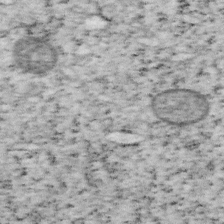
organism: Mouse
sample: OT-I killer T cells with ID8 ovarian cancer cells